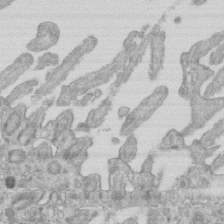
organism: Mouse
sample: Centriole in ependymal cells